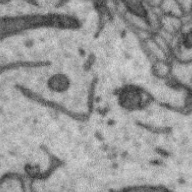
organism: Zebra finch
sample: Brain